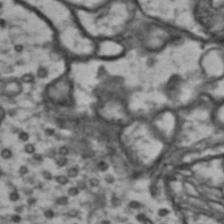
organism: Drosophila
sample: Brain